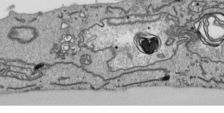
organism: Human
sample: Mitochondria in HCT116 cells